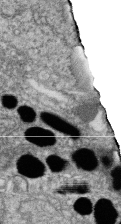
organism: Zebrafish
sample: Cilia; retinal pigment epithelium